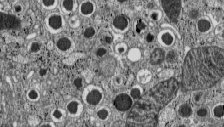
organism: C57BL Mouse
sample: Pancreatic islet